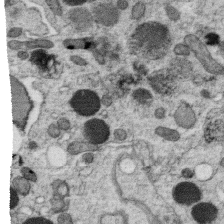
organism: C. elegans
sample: C. elegans oocyte; sperm cells